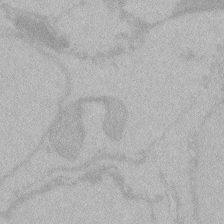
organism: Zebrafish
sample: Macrophage infected with Toxoplasma gondii